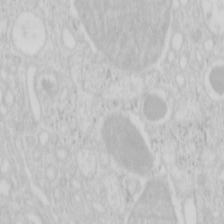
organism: Mouse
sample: Pancreas